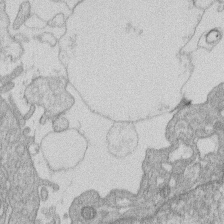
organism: Human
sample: Macrophage cells